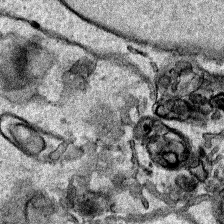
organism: Human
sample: Mitochondria in HCT116 cells